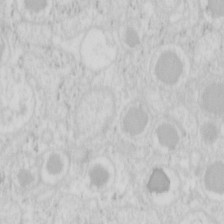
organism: Mouse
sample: Pancreas